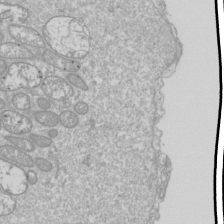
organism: Drosophila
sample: Cell division; meiosis; drosophila spermatocytes